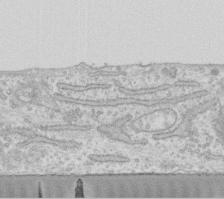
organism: Human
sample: Fibroblast cells